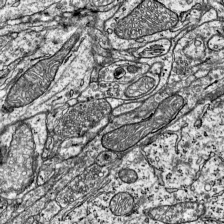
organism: Mouse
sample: Visual Cortex